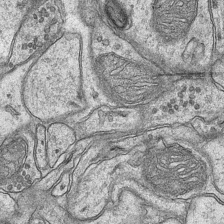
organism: Mouse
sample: CA1 Hippocampus